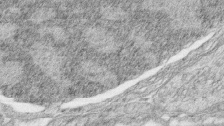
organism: Zebrafish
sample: synaptic ribbons in rod cells and cone cells